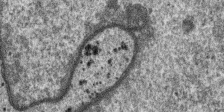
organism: Human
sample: Lung epithelial cells infected with SARS-CoV-2